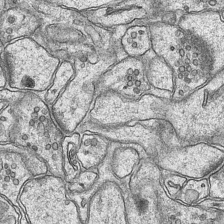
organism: Mouse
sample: CA1 Hippocampus